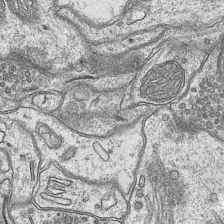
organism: Mouse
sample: CA1 Hippocampus